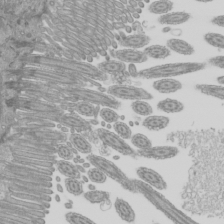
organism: Mouse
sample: Cilia; mouse epididymis